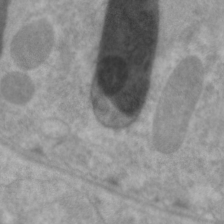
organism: C. elegans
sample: Pharynx